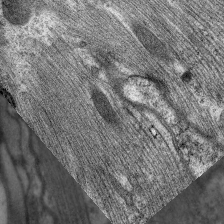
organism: C. elegans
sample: Pharynx